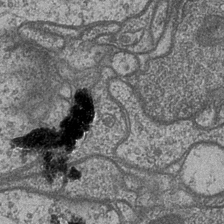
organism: Drosophila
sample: Optic medulla